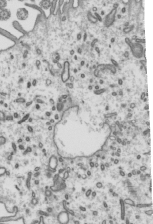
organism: Mouse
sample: Mouse epididymis efferent ductule cilia